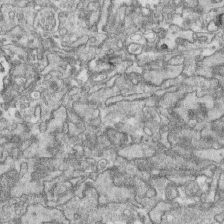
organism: Human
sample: CRL-1474